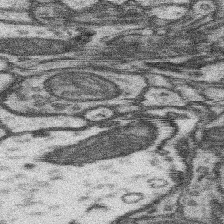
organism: Mouse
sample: Somatosensory cortex neuropil